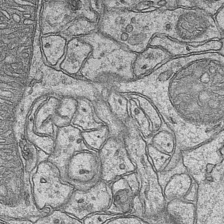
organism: Mouse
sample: CA1 Hippocampus